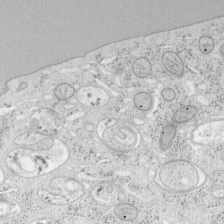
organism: Mouse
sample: OT-I killer T cells with ID8 ovarian cancer cells